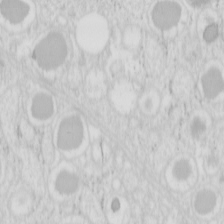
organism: Mouse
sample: Pancreas